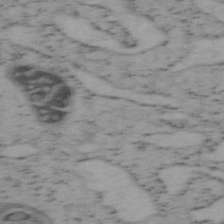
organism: Mouse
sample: OT-I killer T cells with ID8 ovarian cancer cells